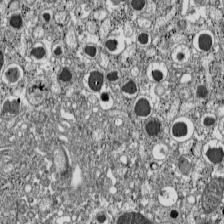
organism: C57BL Mouse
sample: Pancreatic islet